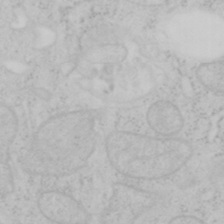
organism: Mouse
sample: OT-I killer T cells with ID8 ovarian cancer cells